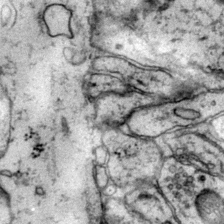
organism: Mouse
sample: Primary visual cortex